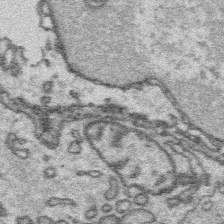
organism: Platynereis dumerilii